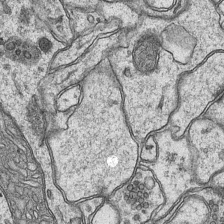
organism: Mouse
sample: CA1 Hippocampus